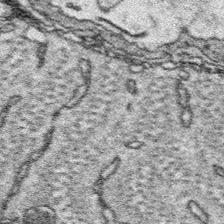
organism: Platynereis dumerilii